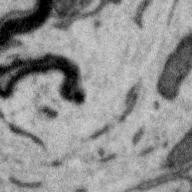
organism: Zebra finch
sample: Brain